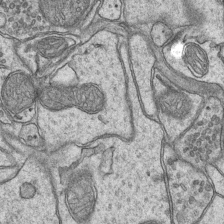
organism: Mouse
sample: CA1 Hippocampus